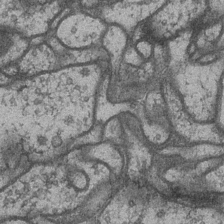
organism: Drosophila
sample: Optic medulla